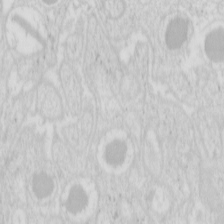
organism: Mouse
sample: Pancreas